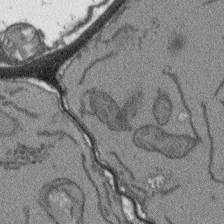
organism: Arabidopsis thaliana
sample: Root tip